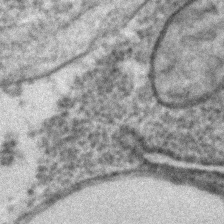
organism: C. elegans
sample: C. elegans embryo